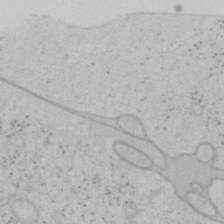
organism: Human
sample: HeLa cells